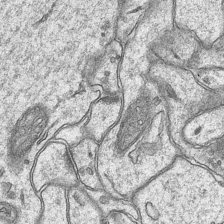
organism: Mouse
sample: CA1 Hippocampus